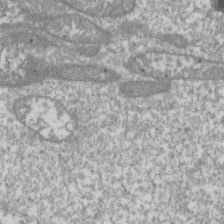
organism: Drosophila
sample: Cell division; meiosis; drosophila spermatocytes